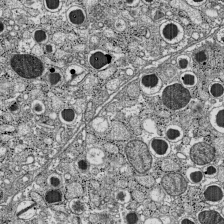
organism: C57BL Mouse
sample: Pancreatic islet